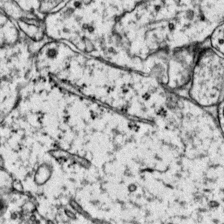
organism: Mouse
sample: Primary visual cortex